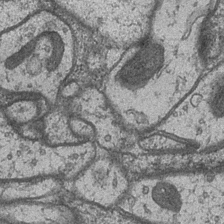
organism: Drosophila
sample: Optic medulla